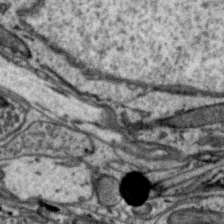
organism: Zebra finch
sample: Brain